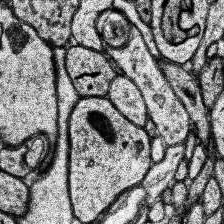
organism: Human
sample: Temporal Lobe